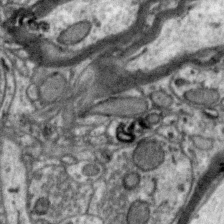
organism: Zebra finch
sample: Brain